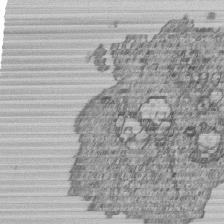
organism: Human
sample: MDA-MB-231 cells